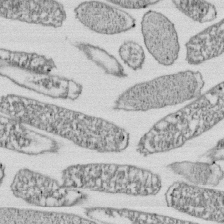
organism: E. coli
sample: Bacterial nucleoid